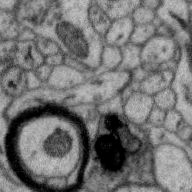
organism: Zebra finch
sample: Brain